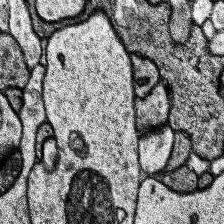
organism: Human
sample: Temporal Lobe